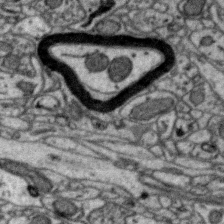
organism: Zebra finch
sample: Brain